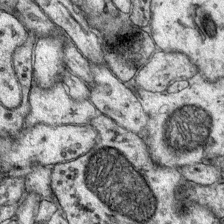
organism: Mouse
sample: Primary visual cortex